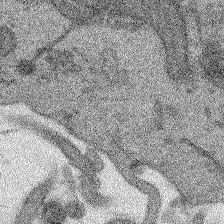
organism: Human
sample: HeLa cells